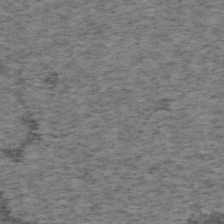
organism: Mouse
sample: OT-I killer T cells with ID8 ovarian cancer cells